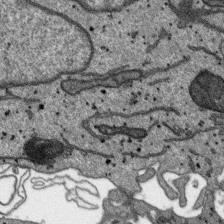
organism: Human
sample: Lung epithelial cells, uninfected (mock) control